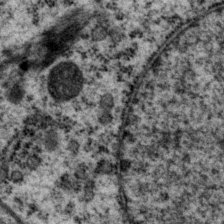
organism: P. pacificus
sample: Pharynx